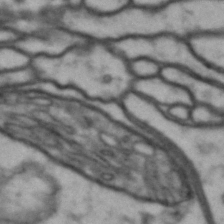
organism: Drosophila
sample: Brain